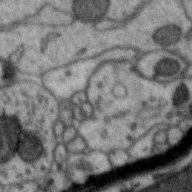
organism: Zebra finch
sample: Brain